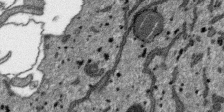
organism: Human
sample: Lung epithelial cells, uninfected (mock) control